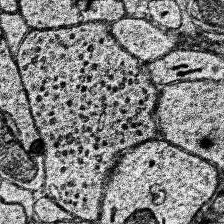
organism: Human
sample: Temporal Lobe